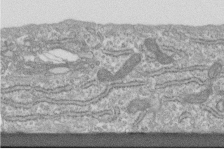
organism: Human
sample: Centriole in fibroblast cells